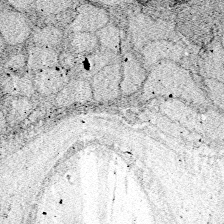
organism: Zebrafish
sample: Whole-Brain